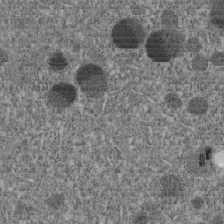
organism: C. elegans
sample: C. elegans embryo early stage